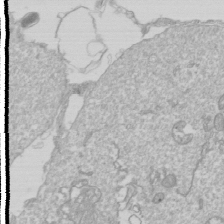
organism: Drosophila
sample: Cell division; meiosis; drosophila spermatocytes